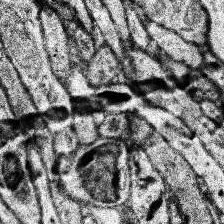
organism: Human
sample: Temporal Lobe